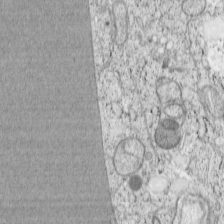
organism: African green monkey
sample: COS-7 cells